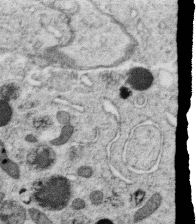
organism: C. elegans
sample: C. elegans oocyte; sperm cells